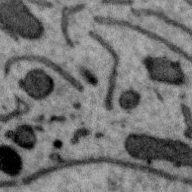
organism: Zebra finch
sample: Brain